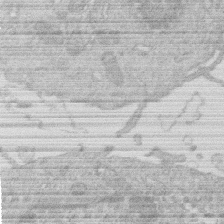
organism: Human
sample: Macrophage cells